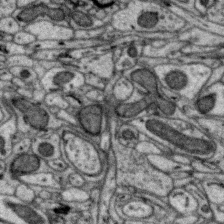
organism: Zebra finch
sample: Brain